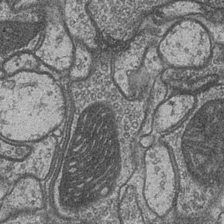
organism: Drosophila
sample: Optic medulla